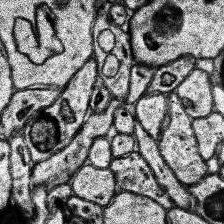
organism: Human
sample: Temporal Lobe